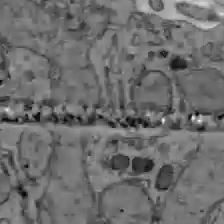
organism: C57BL Mouse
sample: Liver